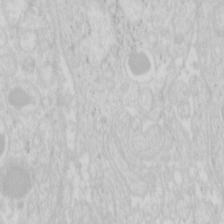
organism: Mouse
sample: Pancreas